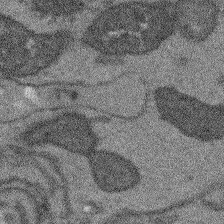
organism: Arabidopsis thaliana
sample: Root tip